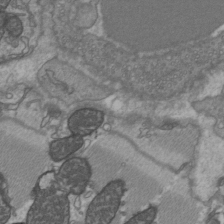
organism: C57BL Mouse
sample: Heart